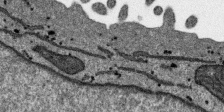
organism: Human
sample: Lung epithelial cells, uninfected (mock) control